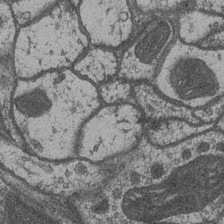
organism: Drosophila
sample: Optic medulla